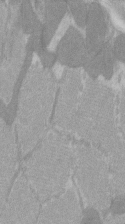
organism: C57BL Mouse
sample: Tibialis anterior muscle cell